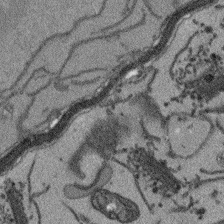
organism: Arabidopsis thaliana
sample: Root tip